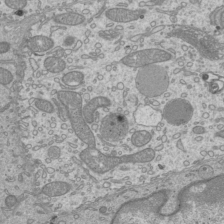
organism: Mouse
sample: Cilia; mouse epididymis